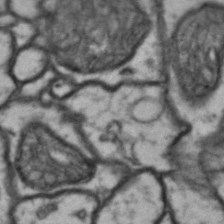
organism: Drosophila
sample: Brain